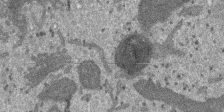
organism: Human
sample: Lung epithelial cells infected with SARS-CoV-2